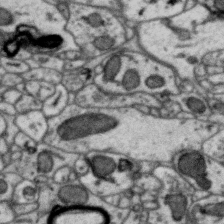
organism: Zebra finch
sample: Brain